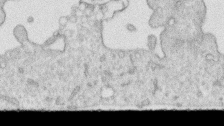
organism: Human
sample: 1205lu cells